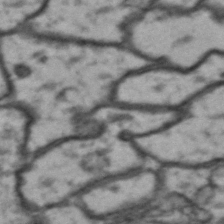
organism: Drosophila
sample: Brain